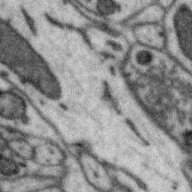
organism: Zebra finch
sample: Brain